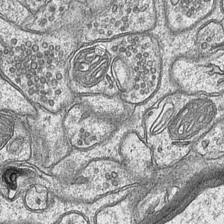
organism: Mouse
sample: CA1 Hippocampus